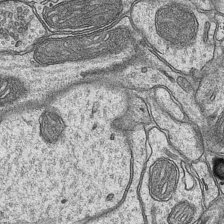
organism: Mouse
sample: CA1 Hippocampus